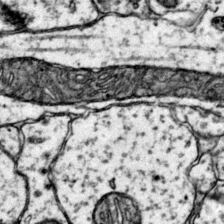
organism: Mouse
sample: Primary visual cortex